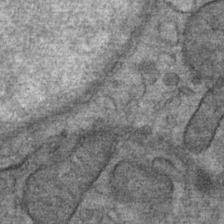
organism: Mouse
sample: Mouse Salivary gland